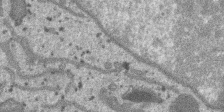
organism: Human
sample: Lung epithelial cells infected with SARS-CoV-2